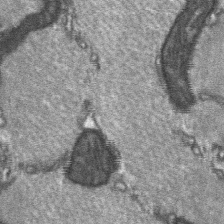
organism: C57BL Mouse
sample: Soleus